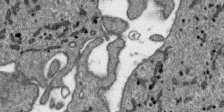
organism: Human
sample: Lung epithelial cells, uninfected (mock) control